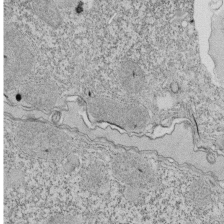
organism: Tetrahymena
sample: Cilia in tetrahymena